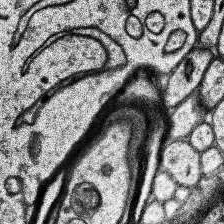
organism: Human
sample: Temporal Lobe